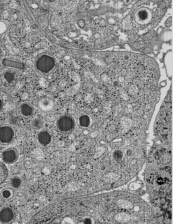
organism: C57BL Mouse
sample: Pancreatic islet